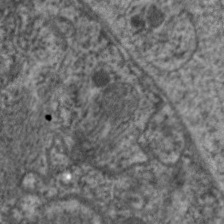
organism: C. elegans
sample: Pharynx